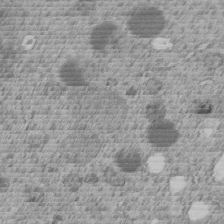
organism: C. elegans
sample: C. elegans embryo early stage